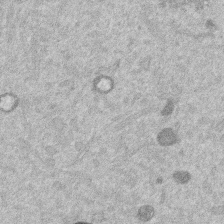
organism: Mouse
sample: Dividing mouse embryo 1 cell stage